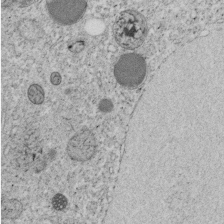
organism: C. elegans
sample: C. elegans embryo early stage